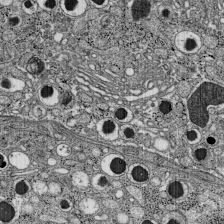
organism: C57BL Mouse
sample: Pancreatic islet